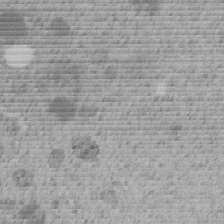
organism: C. elegans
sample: C. elegans embryo early stage